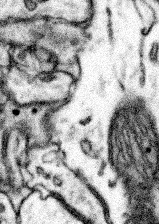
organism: Mouse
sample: Somatosensory cortex neuropil